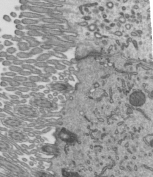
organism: Mouse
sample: Mouse epididymis efferent ductule cilia